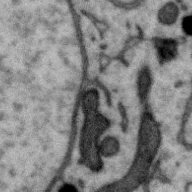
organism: Zebra finch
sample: Brain